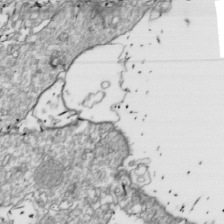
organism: Drosophila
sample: Cell division; meiosis; drosophila spermatocytes